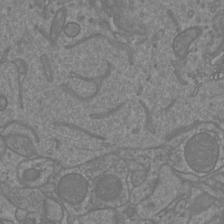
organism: Mouse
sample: Cortical neurons